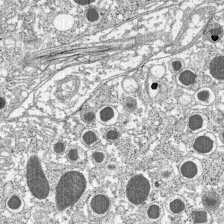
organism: C57BL Mouse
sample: Pancreatic islet